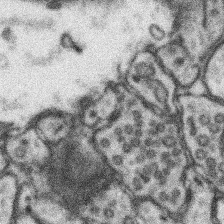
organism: Mouse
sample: Somatosensory cortex neuropil